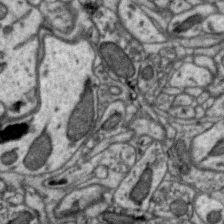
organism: Zebra finch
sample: Brain